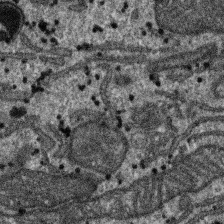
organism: Human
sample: Lung epithelial cells infected with SARS-CoV-2